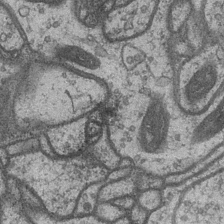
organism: Drosophila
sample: Optic medulla